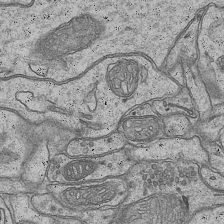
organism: Mouse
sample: CA1 Hippocampus